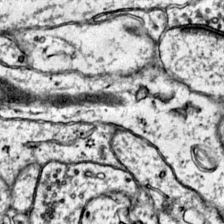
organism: Mouse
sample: Primary visual cortex